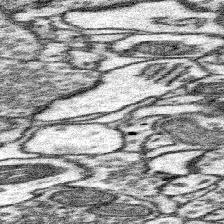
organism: Mouse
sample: Somatosensory cortex neuropil